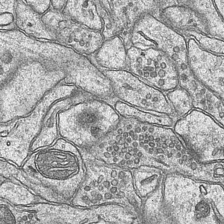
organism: Mouse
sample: CA1 Hippocampus